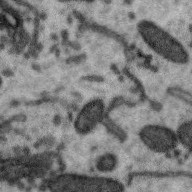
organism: Zebra finch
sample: Brain